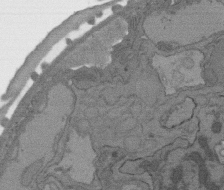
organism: C. elegans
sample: AFD neurons C. elegans